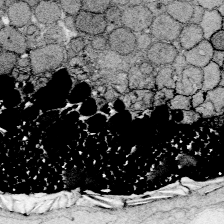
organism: Zebrafish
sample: Whole-Brain